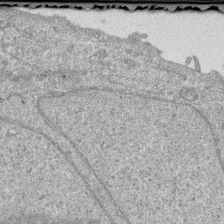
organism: Human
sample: HeLa cell HIV synapse